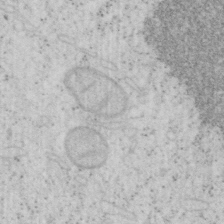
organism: Human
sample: HeLa cells